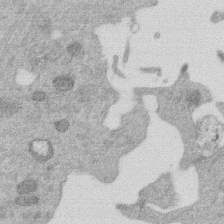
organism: Mouse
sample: Dividing mouse embryo 1 cell stage